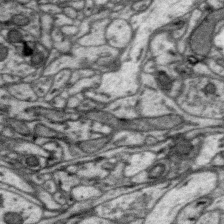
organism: Zebra finch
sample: Brain